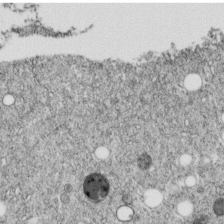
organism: C. elegans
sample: C. elegans embryo early stage